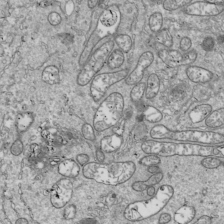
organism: Drosophila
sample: Cell division; meiosis; drosophila spermatocytes